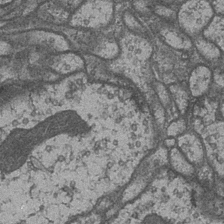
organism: Drosophila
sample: Optic medulla